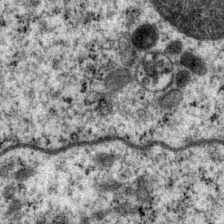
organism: P. pacificus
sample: Pharynx